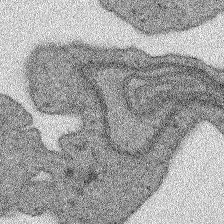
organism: Human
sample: HeLa cells